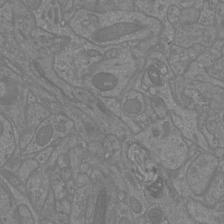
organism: Mouse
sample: Cortical neurons